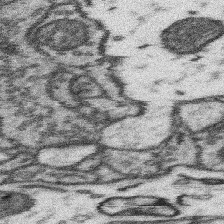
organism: Mouse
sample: Somatosensory cortex neuropil